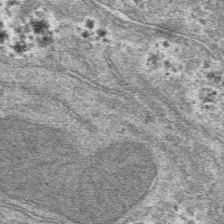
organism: Mouse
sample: Mouse hepatocytes